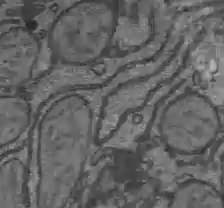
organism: C57BL Mouse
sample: Liver